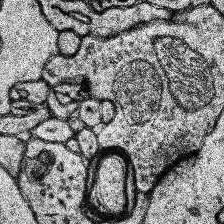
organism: Human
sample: Temporal Lobe